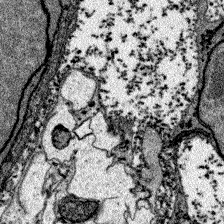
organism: Zebrafish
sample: Larval olfactory bulb